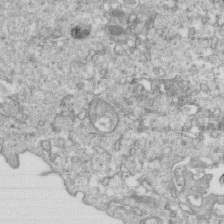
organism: Mouse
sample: Activated OT-1 CD8+ T cells